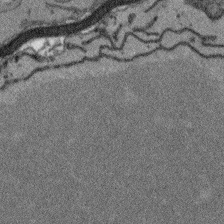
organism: Arabidopsis thaliana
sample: Root tip